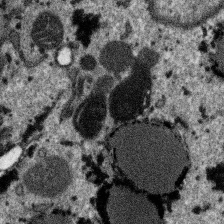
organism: Human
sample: Lung epithelial cells infected with SARS-CoV-2